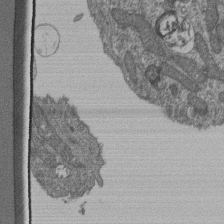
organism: Human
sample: Retinal organoid Rod and Cone cells